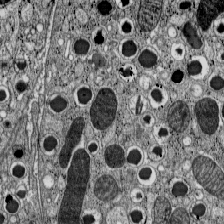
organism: C57BL Mouse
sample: Pancreatic islet